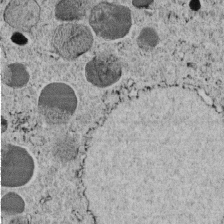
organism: C. elegans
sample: C. elegans embryo early stage